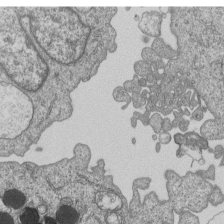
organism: Human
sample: MDA-MB-231 cells